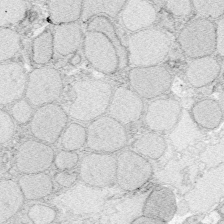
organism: Zebrafish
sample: Whole-Brain